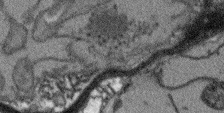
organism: Arabidopsis thaliana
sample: Root tip